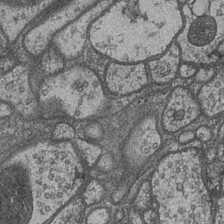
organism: Drosophila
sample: Optic medulla